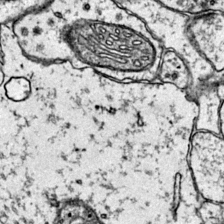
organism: Mouse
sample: Primary visual cortex